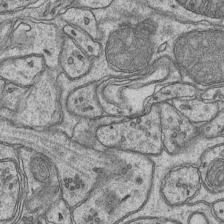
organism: Mouse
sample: CA1 Hippocampus